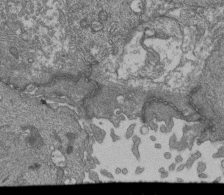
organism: Human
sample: Retinal organoid Rod and Cone cells